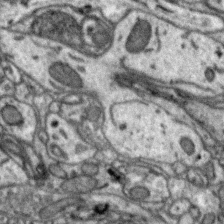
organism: Zebra finch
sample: Brain